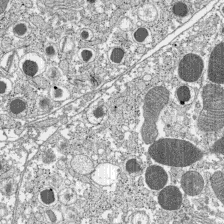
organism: C57BL Mouse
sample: Pancreatic islet